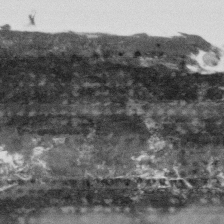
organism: Human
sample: Fibroblast cells